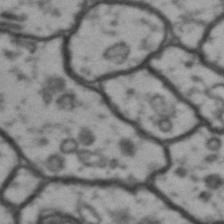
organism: Drosophila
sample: Brain